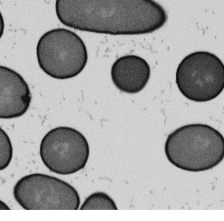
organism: B. subtilis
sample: Bacterial spore